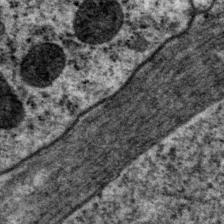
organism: P. pacificus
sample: Pharynx